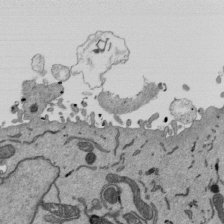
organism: Mouse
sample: ED-1 cell nuclei; centrioles